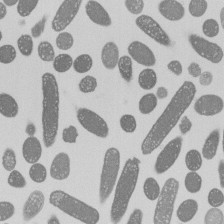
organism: E. coli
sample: Bacterial nucleoid